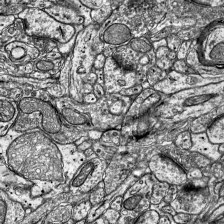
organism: Mouse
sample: Visual Cortex